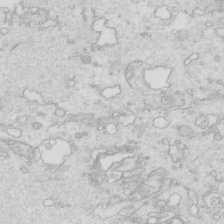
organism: Mouse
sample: Multiciliated cells